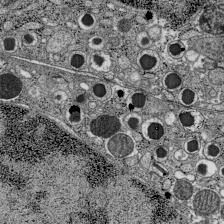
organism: C57BL Mouse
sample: Pancreatic islet